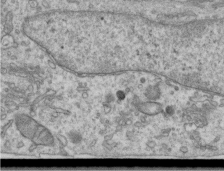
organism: Human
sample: Centriole in RPE cells